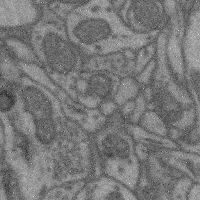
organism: Mouse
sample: Cerebral cortex